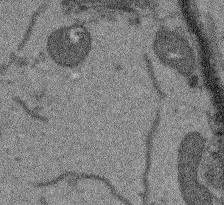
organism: Arabidopsis thaliana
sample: Root tip